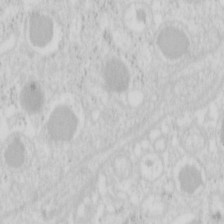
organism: Mouse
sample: Pancreas